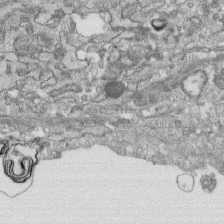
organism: Human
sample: CRL-1474